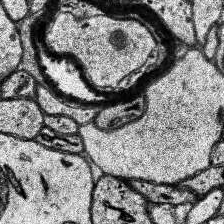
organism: Human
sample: Temporal Lobe